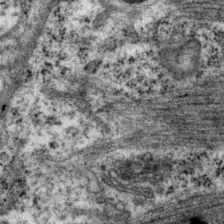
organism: P. pacificus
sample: Pharynx